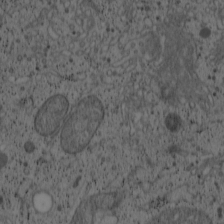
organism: African green monkey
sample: COS-7 cells